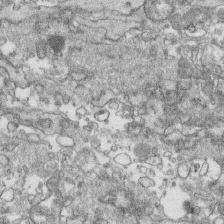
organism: Human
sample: CRL-1474